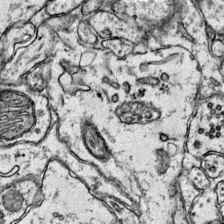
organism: Mouse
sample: Primary visual cortex